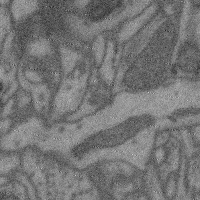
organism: Mouse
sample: Cerebral cortex